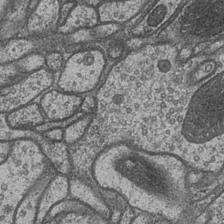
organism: Drosophila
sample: Optic medulla